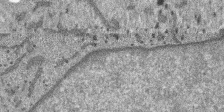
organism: Human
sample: Lung epithelial cells infected with SARS-CoV-2